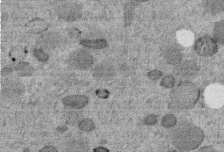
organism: C. elegans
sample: C. elegans embryo early stage